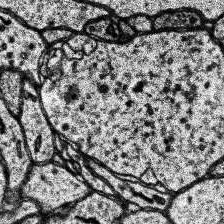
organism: Human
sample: Temporal Lobe